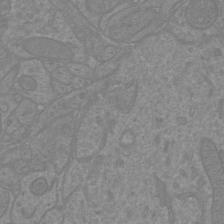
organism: Mouse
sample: Cortical neurons